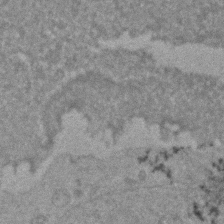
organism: Zebrafish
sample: Zebrafish embryo